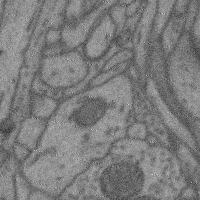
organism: Mouse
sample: Cerebral cortex